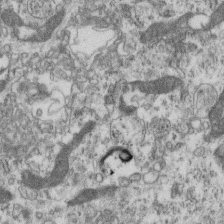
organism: Mouse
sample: Centriole in ependymal cells